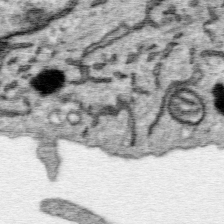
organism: Human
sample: HeLa cells